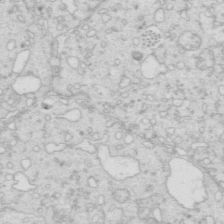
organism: Mouse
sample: Multiciliated cells